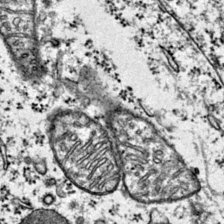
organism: Mouse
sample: Primary visual cortex